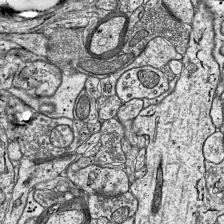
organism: Mouse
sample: Visual Cortex